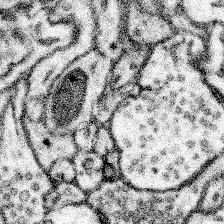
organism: Mouse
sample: Somatosensory cortex neuropil